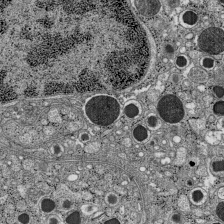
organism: C57BL Mouse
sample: Pancreatic islet